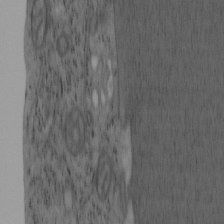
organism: Human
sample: HeLa cells